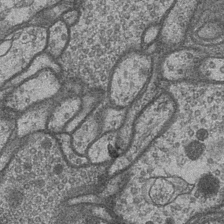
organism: Drosophila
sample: Optic medulla